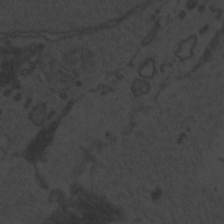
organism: Zebrafish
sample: Macrophage infected with Toxoplasma gondii